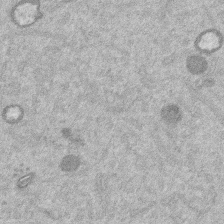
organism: Mouse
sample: Dividing mouse embryo 1 cell stage